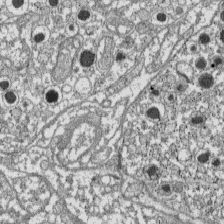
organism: C57BL Mouse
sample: Pancreatic islet